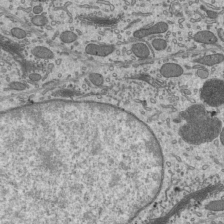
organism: Mouse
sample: Mouse epididymis efferent ductule cilia